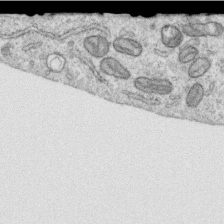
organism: Human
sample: Centriole in RPE cells